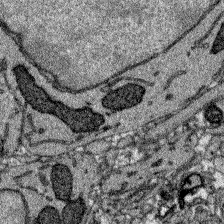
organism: Zebrafish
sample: Larval olfactory bulb